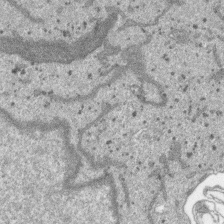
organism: Human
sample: Lung epithelial cells infected with SARS-CoV-2